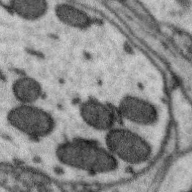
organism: Zebra finch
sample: Brain